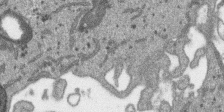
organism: Human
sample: Lung epithelial cells infected with SARS-CoV-2